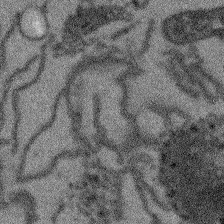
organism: Arabidopsis thaliana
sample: Root tip